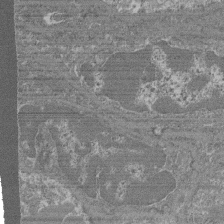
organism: Mouse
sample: Glomerulus